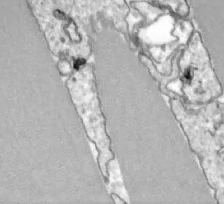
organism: Zebrafish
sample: Actinotrichia fibers